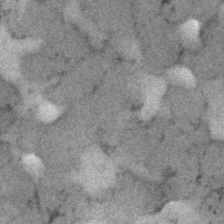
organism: Human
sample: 1205lu cells